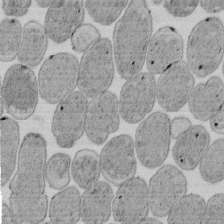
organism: E. coli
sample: Bacterial nucleoid